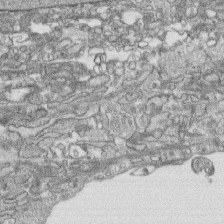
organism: Human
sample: CRL-1474